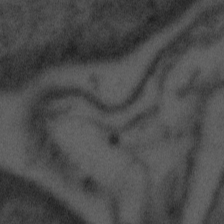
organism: Tuwongella immobilis